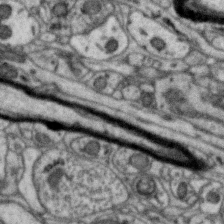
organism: Zebra finch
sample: Brain